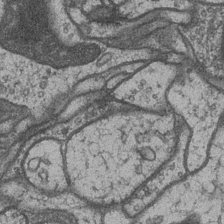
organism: Drosophila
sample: Optic medulla